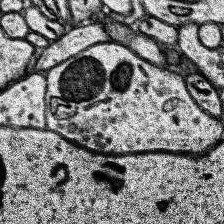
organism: Human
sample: Temporal Lobe